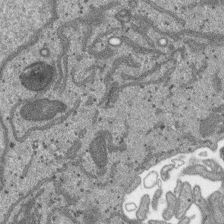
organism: Human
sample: Lung epithelial cells infected with SARS-CoV-2